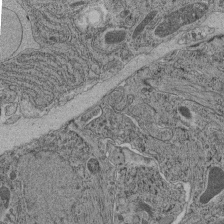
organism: C. elegans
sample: C. elegans pharynx